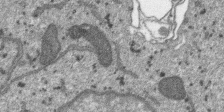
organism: Human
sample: Lung epithelial cells infected with SARS-CoV-2